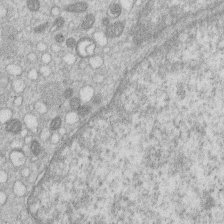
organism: Human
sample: Macrophage cells